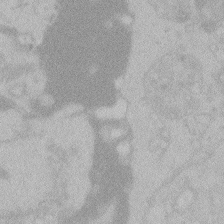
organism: Zebrafish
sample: Macrophage infected with Toxoplasma gondii